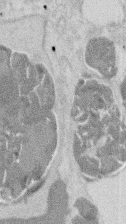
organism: Mouse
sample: T cell stromal cell synapse